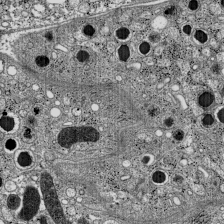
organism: C57BL Mouse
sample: Pancreatic islet